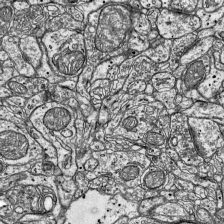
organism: Mouse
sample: Visual Cortex